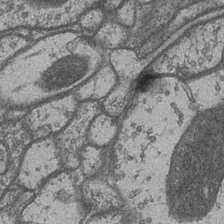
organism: Drosophila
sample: Optic medulla